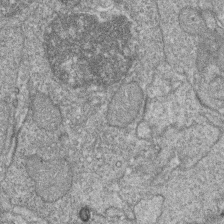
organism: Zebrafish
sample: Cilia; retinal pigment epithelium